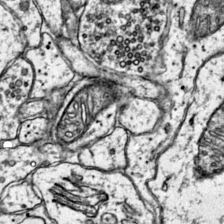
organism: Mouse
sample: Primary visual cortex